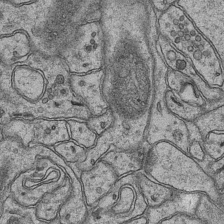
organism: Mouse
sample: CA1 Hippocampus